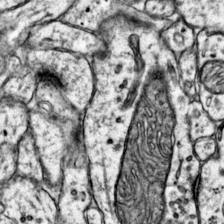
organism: Mouse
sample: Primary visual cortex